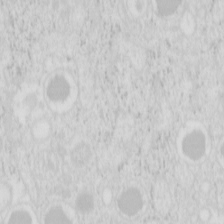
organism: Mouse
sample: Pancreas